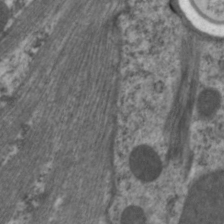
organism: C. elegans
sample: Pharynx